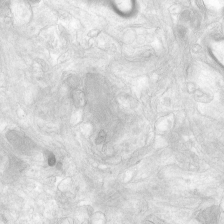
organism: Human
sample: Neocortex